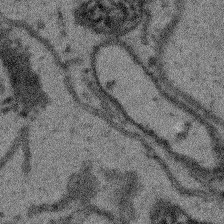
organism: Arabidopsis thaliana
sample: Root tip